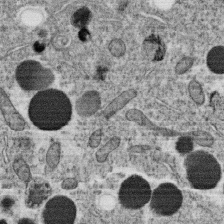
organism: C. elegans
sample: C. elegans oocyte; sperm cells